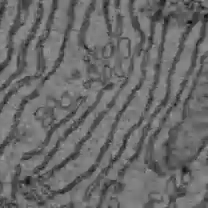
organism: C57BL Mouse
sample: Liver